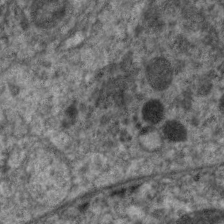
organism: C. elegans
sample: Pharynx